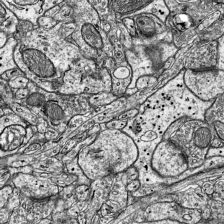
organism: Mouse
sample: Visual Cortex